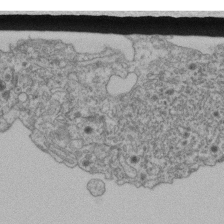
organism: Human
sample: Retinal organoid Rod and Cone cells